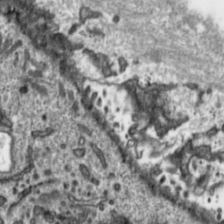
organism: Toxoplasma gondii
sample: Parasites in a vacuole inside a host cell